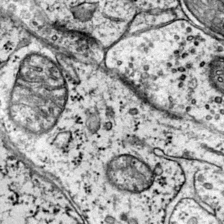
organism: Mouse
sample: Primary visual cortex